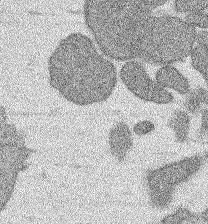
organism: Human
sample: HeLa cells